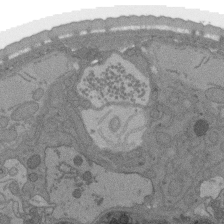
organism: C. elegans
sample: AFD neurons C. elegans